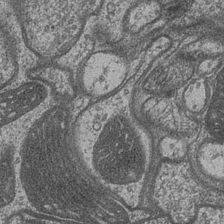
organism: Drosophila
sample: Optic medulla